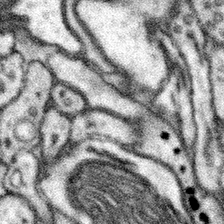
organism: Mouse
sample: Somatosensory cortex neuropil